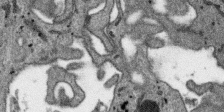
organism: Human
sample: Lung epithelial cells, uninfected (mock) control